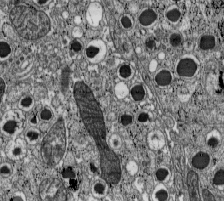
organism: C57BL Mouse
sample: Pancreatic islet